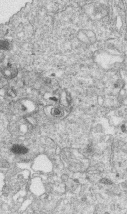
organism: Human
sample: HeLa cell HIV synapse